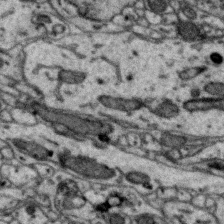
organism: Zebra finch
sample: Brain